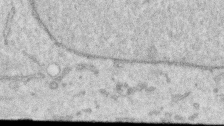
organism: Human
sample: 1205lu cells